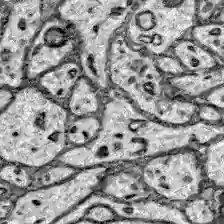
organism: Zebrafish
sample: Brain